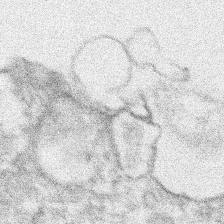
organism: Xenopus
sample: Cilia; centrioles in frog embryo cells